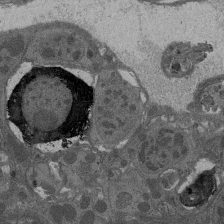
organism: Drosophila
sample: Antenna